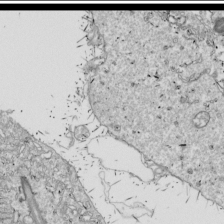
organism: Drosophila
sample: Cell division; meiosis; drosophila spermatocytes